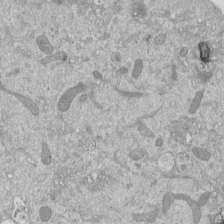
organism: Mouse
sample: ED-1 cell nuclei; centrioles